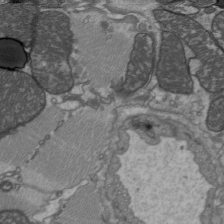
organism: C57BL Mouse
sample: Heart